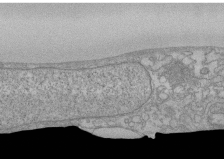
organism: Human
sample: CRL-1474